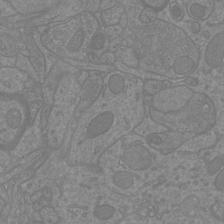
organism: Mouse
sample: Cortical neurons